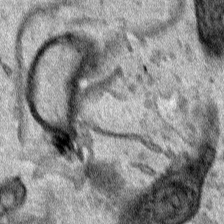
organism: Human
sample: Mitochondria in HCT116 cells